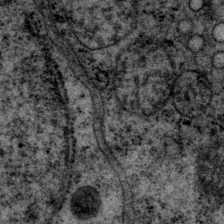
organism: P. pacificus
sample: Pharynx